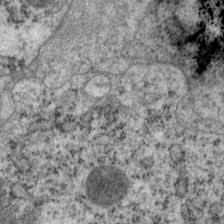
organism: P. pacificus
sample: Pharynx